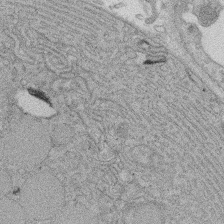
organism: Rat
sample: Salivary granule